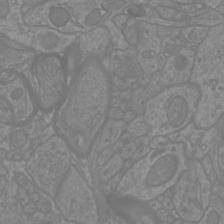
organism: Mouse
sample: Cortical neurons